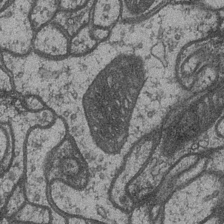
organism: Drosophila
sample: Optic medulla